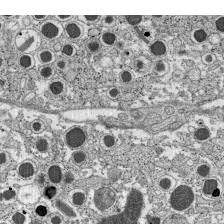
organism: C57BL Mouse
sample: Pancreatic islet